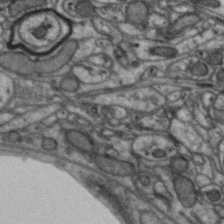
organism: Zebra finch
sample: Brain